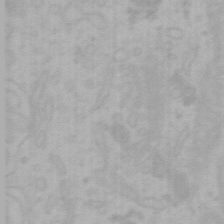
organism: Mouse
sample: Choroid plexus